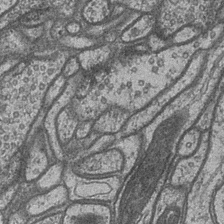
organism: Drosophila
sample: Optic medulla